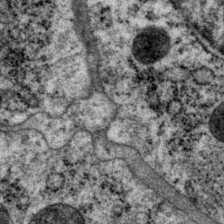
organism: P. pacificus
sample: Pharynx